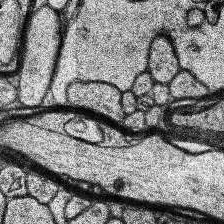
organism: Human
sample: Temporal Lobe